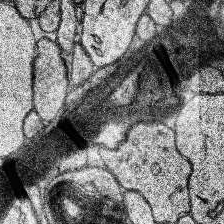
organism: Human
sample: Temporal Lobe